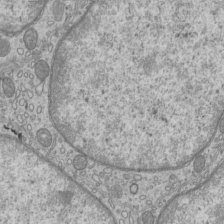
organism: Mouse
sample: Cilia; mouse epididymis